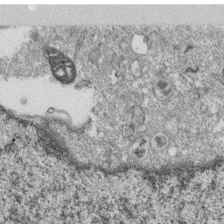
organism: African green monkey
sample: Vero E6 cells infected with SARS-CoV-2